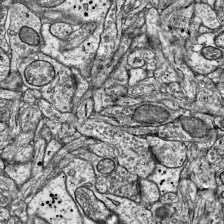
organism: Mouse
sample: Visual Cortex